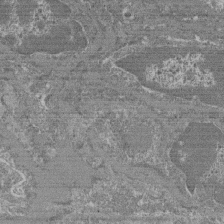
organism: Mouse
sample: Glomerulus